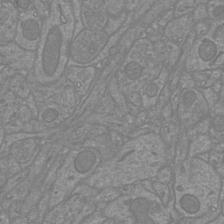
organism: Mouse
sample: Cortical neurons